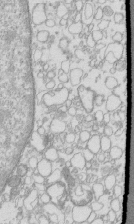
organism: Mouse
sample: Macrophages